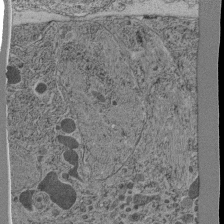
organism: C. elegans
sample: C. elegans pharynx